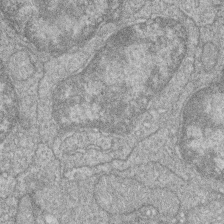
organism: Zebrafish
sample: Cilia; retinal pigment epithelium